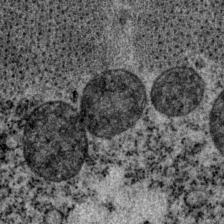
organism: P. pacificus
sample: Pharynx